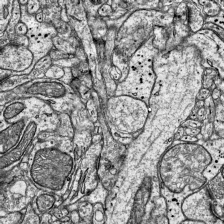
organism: Mouse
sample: Visual Cortex